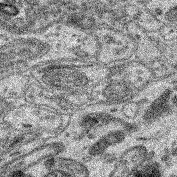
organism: Mouse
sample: Retina